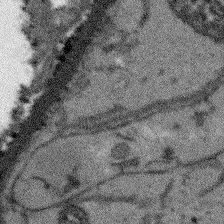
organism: Arabidopsis thaliana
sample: Root tip